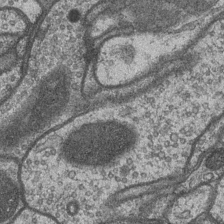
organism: Drosophila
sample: Optic medulla